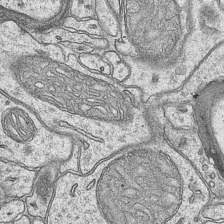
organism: Mouse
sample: CA1 Hippocampus